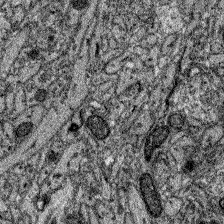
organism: Zebrafish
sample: Larval olfactory bulb